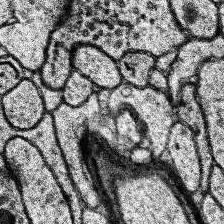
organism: Human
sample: Temporal Lobe